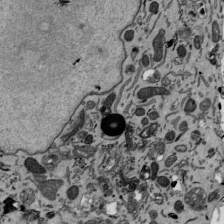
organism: Mouse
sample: ED-1 cell nuclei; centrioles